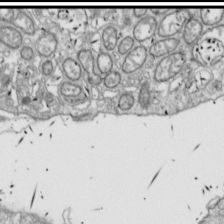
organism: Drosophila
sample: Cell division; meiosis; drosophila spermatocytes